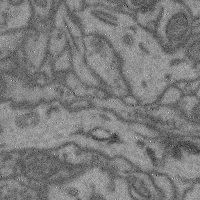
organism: Mouse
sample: Cerebral cortex